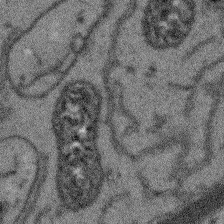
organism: Arabidopsis thaliana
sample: Root tip